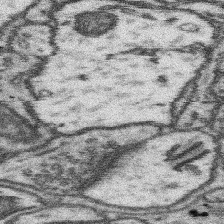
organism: Mouse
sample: Somatosensory cortex neuropil